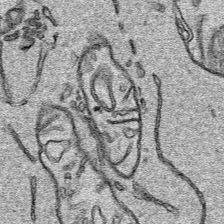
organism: Human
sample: Mitochondria in HCT116 cells